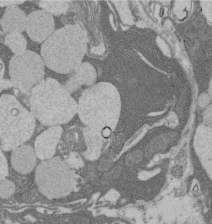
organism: Rat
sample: Salivary granule